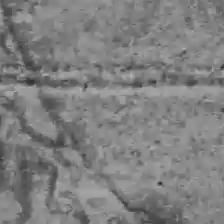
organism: C57BL Mouse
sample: Liver